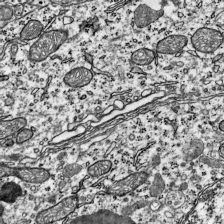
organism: Mouse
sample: Visual Cortex